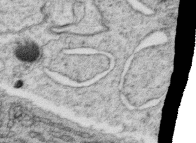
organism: C. elegans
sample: C. elegans oocyte; sperm cells